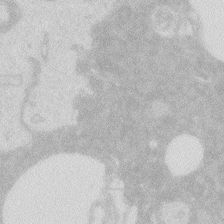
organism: Zebrafish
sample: Macrophage